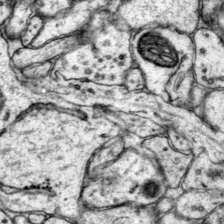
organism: Mouse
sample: Primary visual cortex